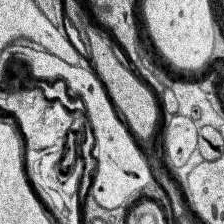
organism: Human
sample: Temporal Lobe